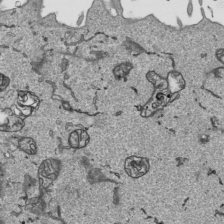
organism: Human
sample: Mitochondria in HCT116 cells